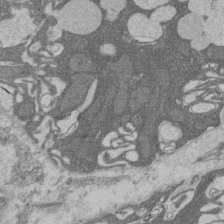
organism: Rat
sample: Salivary granule